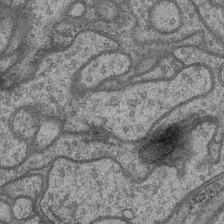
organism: Drosophila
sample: Optic medulla